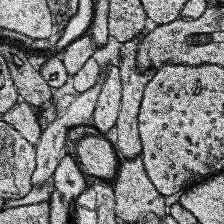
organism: Human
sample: Temporal Lobe